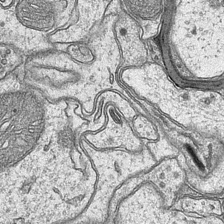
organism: Mouse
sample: CA1 Hippocampus